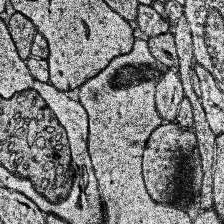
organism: Human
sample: Temporal Lobe